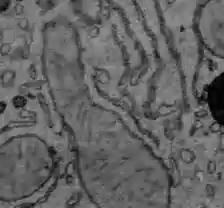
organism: C57BL Mouse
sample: Liver